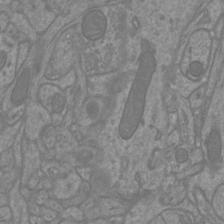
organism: Mouse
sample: Cortical neurons